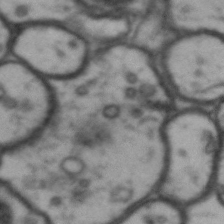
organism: Drosophila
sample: Brain